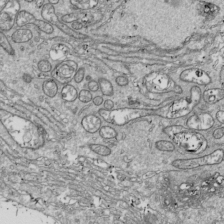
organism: Drosophila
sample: Cell division; meiosis; drosophila spermatocytes